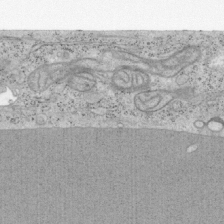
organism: Human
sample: HeLa cells